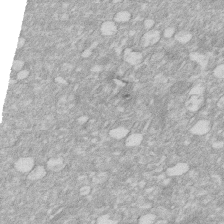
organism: Human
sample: HIV infected U937 cells